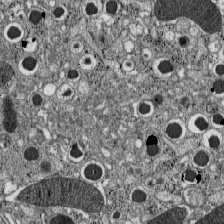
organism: C57BL Mouse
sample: Pancreatic islet